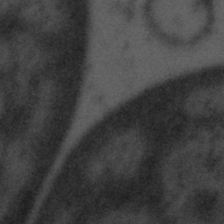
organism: Tuwongella immobilis